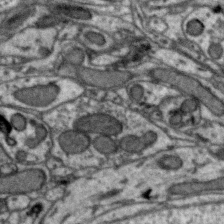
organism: Zebra finch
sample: Brain